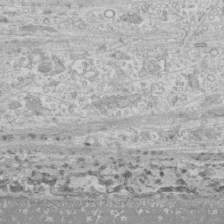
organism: Human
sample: CRL-1474